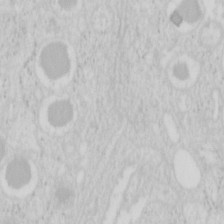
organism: Mouse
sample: Pancreas